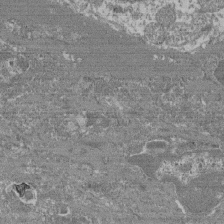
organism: Mouse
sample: Glomerulus